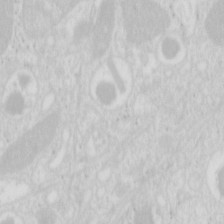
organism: Mouse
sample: Pancreas